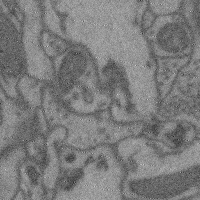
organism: Mouse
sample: Cerebral cortex